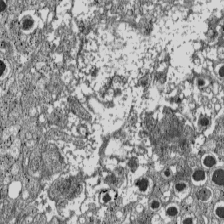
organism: C57BL Mouse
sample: Pancreatic islet